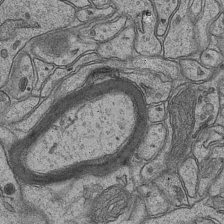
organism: Mouse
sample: CA1 Hippocampus